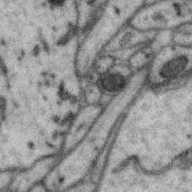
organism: Zebra finch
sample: Brain